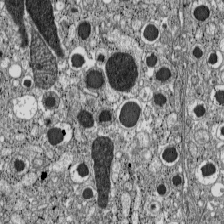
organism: C57BL Mouse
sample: Pancreatic islet